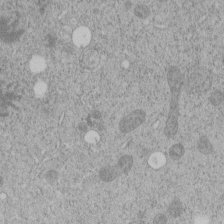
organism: C. elegans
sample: C. elegans embryo early stage